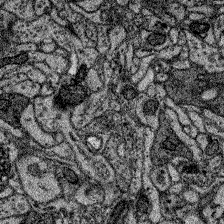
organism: Zebrafish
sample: Larval olfactory bulb